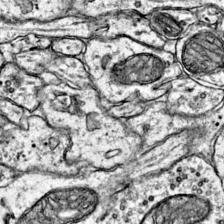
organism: Mouse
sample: Primary visual cortex